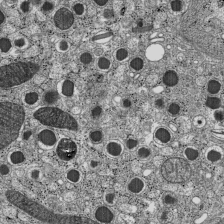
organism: C57BL Mouse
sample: Pancreatic islet